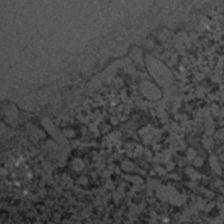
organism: C. elegans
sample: C. elegans embryo